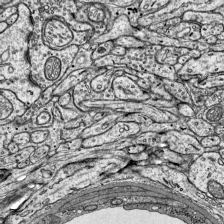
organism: Mouse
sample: Visual Cortex